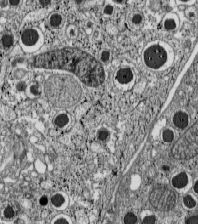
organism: C57BL Mouse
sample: Pancreatic islet